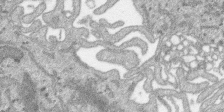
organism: Human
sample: Lung epithelial cells infected with SARS-CoV-2